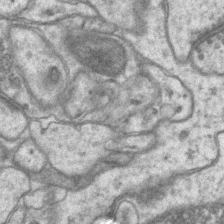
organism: Mouse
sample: CA1 Hippocampus